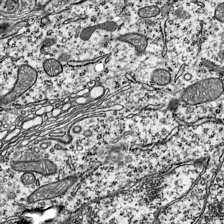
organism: Mouse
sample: Visual Cortex